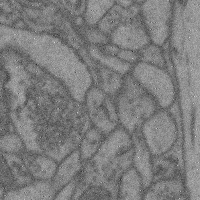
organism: Mouse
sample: Cerebral cortex